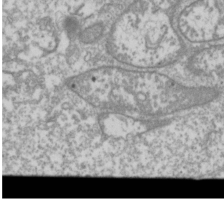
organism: Drosophila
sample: Cell division; meiosis; drosophila spermatocytes